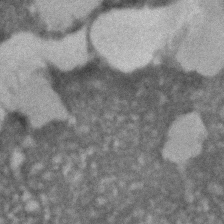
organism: C. elegans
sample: C. elegans embryo